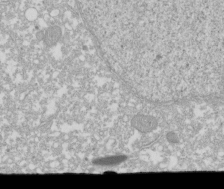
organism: Xenopus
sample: Cilia; centrioles in frog embryo cells